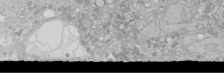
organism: Human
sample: Caco-2 cells